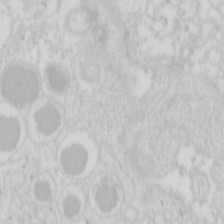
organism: Mouse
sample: Pancreas